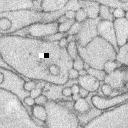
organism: Rabbit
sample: Retina